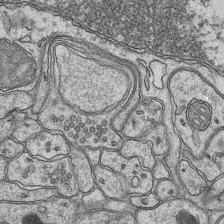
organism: Mouse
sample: CA1 Hippocampus